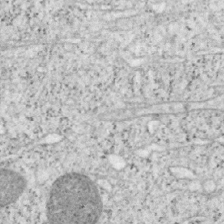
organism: Mouse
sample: OT-I killer T cells with ID8 ovarian cancer cells